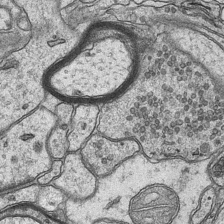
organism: Mouse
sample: CA1 Hippocampus